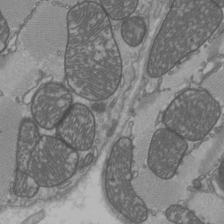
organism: C57BL Mouse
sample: Heart